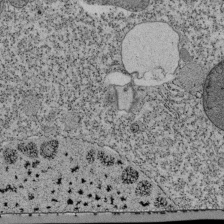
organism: Tetrahymena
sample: Cilia in tetrahymena